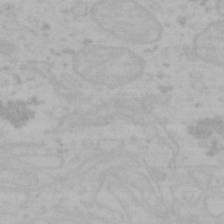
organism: Mouse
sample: Choroid plexus